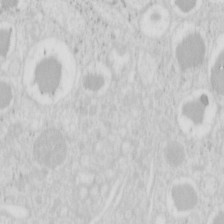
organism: Mouse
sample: Pancreas